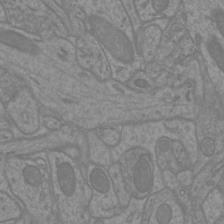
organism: Mouse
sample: Cortical neurons